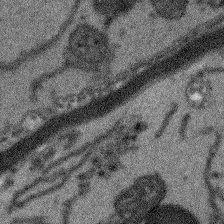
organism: Arabidopsis thaliana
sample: Root tip